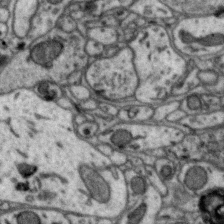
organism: Zebra finch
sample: Brain